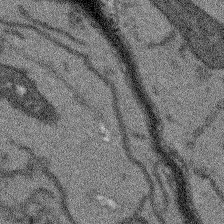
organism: Arabidopsis thaliana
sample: Root tip